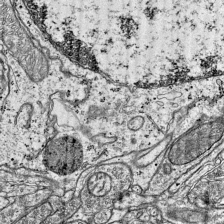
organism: Mouse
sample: Visual Cortex